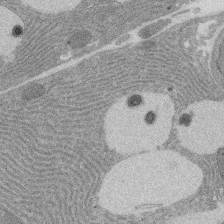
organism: Rat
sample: Salivary granule